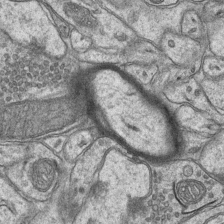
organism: Mouse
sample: CA1 Hippocampus